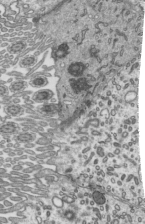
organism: Mouse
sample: Mouse epididymis efferent ductule cilia